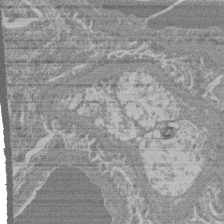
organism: Mouse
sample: Glomerulus